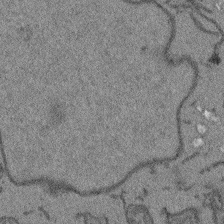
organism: Arabidopsis thaliana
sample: Root tip